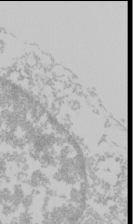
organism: Mouse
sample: Cancer cell death in ED-1 cells